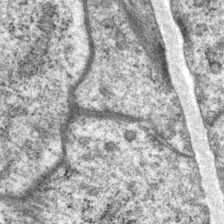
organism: P. pacificus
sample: Pharynx